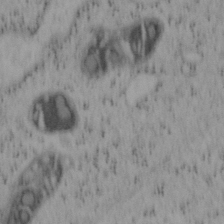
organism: Mouse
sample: OT-I killer T cells with ID8 ovarian cancer cells